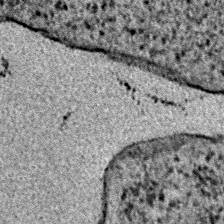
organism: E. coli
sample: E. Coli Bacteria